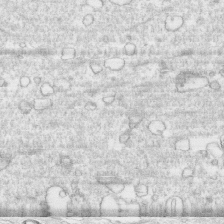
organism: Human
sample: CRL-1474